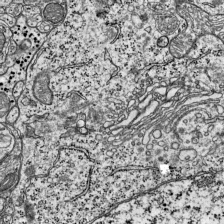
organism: Mouse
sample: Visual Cortex